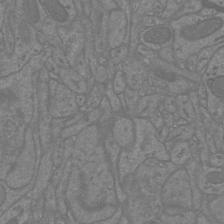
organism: Mouse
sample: Cortical neurons